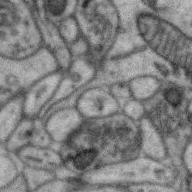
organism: Zebra finch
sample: Brain